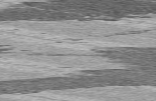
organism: C57BL Mouse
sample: Heart